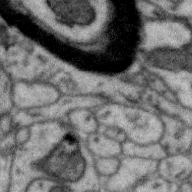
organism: Zebra finch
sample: Brain